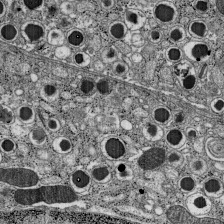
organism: C57BL Mouse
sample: Pancreatic islet